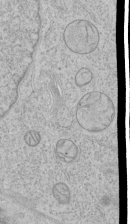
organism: Human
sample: Mitochondria in HCT116 cells